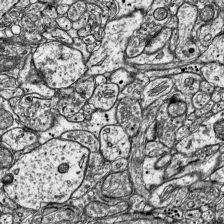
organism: Mouse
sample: Visual Cortex